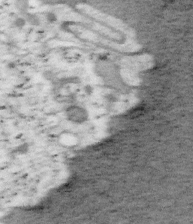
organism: Mouse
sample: OT-I killer T cells with ID8 ovarian cancer cells